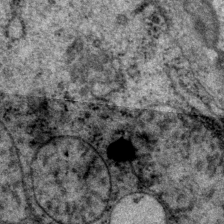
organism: P. pacificus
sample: Pharynx